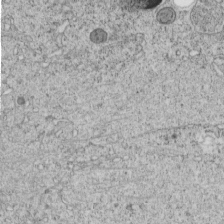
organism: C. elegans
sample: C. elegans embryo early stage